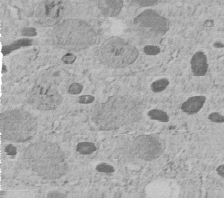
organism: C. elegans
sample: C. elegans embryo early stage